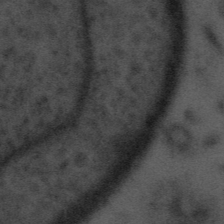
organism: Tuwongella immobilis